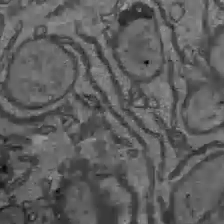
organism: C57BL Mouse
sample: Liver